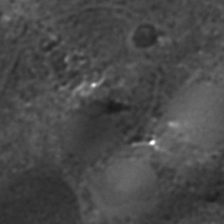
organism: C. elegans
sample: C. elegans embryo